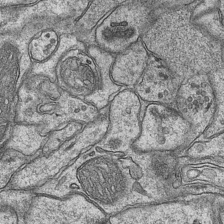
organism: Mouse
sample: CA1 Hippocampus